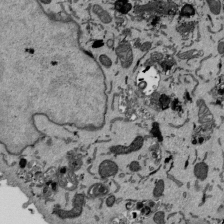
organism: Mouse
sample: ED-1 cell nuclei; centrioles